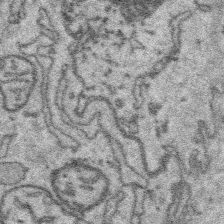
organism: Platynereis dumerilii